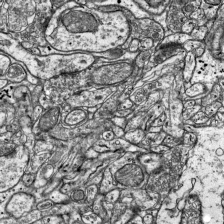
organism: Mouse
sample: Visual Cortex